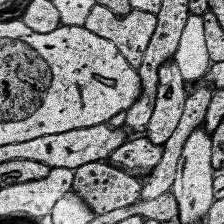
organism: Human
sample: Temporal Lobe